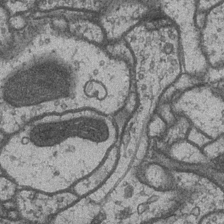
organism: Drosophila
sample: Optic medulla